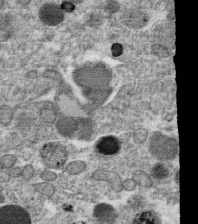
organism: C. elegans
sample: C. elegans oocyte; sperm cells